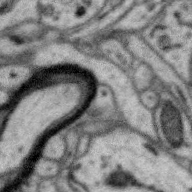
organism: Zebra finch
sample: Brain